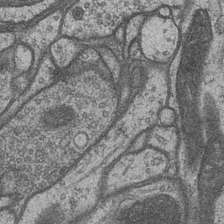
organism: Drosophila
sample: Optic medulla